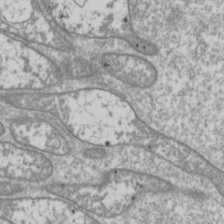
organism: Drosophila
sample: Cell division; meiosis; drosophila spermatocytes